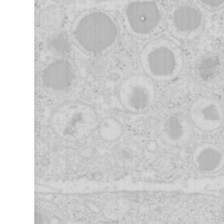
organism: Mouse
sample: Pancreas